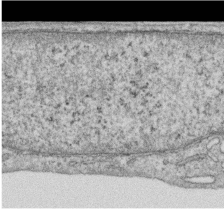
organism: Human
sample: Centriole in RPE cells